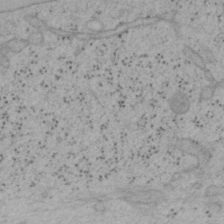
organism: Human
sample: HeLa cells